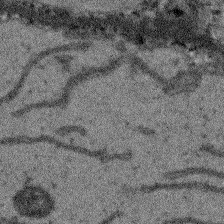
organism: Arabidopsis thaliana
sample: Root tip